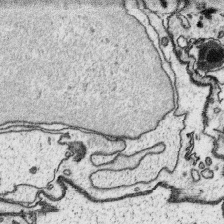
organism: Platynereis dumerilii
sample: Parapodia